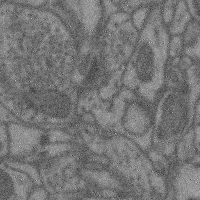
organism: Mouse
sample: Cerebral cortex